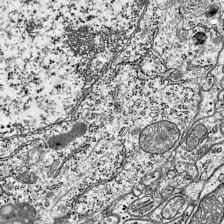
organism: Mouse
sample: Visual Cortex